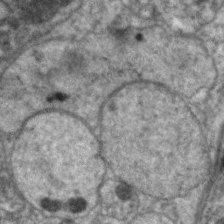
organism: C. elegans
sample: Pharynx